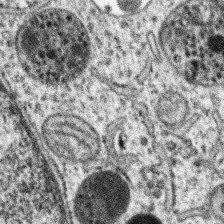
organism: Human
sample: HeLa cells